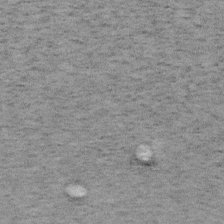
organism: Mouse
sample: OT-I killer T cells with ID8 ovarian cancer cells